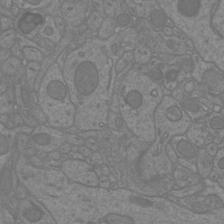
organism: Mouse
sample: Cortical neurons